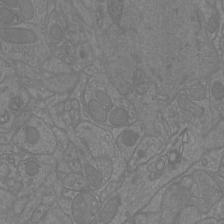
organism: Mouse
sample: Cortical neurons